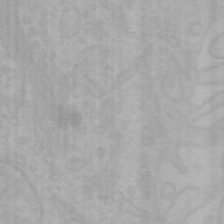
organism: Mouse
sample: Choroid plexus